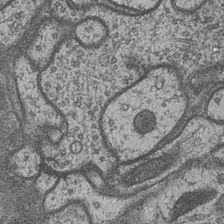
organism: Drosophila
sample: Optic medulla